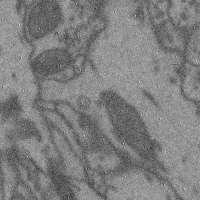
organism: Mouse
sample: Cerebral cortex